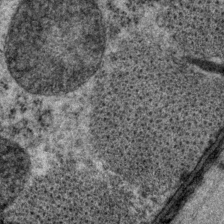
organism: P. pacificus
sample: Pharynx